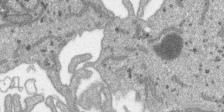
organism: Human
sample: Lung epithelial cells infected with SARS-CoV-2